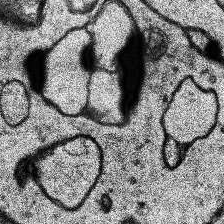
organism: Human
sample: Temporal Lobe